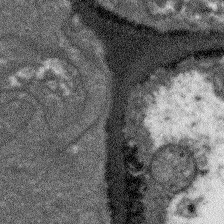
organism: Arabidopsis thaliana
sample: Root tip